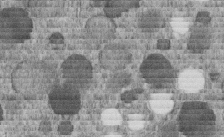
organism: C. elegans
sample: C. elegans embryo early stage